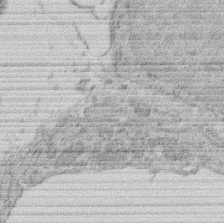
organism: Rat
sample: Salivary granule